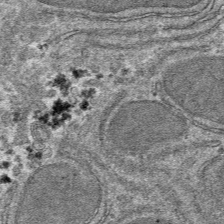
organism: Mouse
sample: Mouse hepatocytes